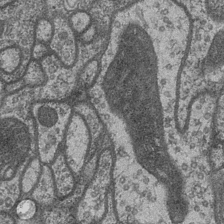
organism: Drosophila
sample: Optic medulla